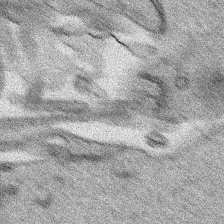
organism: Human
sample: Mitochondria in HCT116 cells